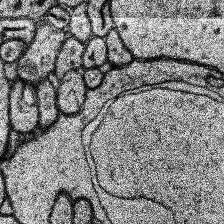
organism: Human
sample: Temporal Lobe